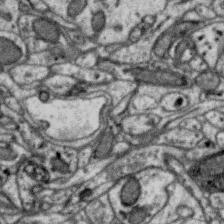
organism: Zebra finch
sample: Brain